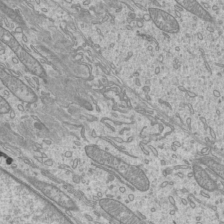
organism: Mouse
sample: Cilia; mouse epididymis